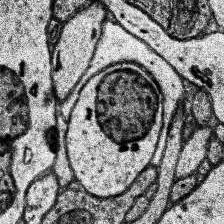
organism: Human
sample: Temporal Lobe